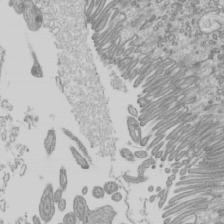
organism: Mouse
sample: Cilia; mouse epididymis